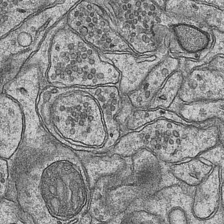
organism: Mouse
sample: CA1 Hippocampus